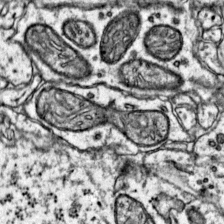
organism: Mouse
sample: Primary visual cortex